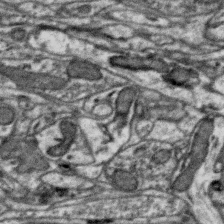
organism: Zebra finch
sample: Brain